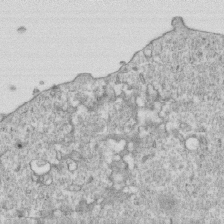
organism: Mouse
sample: Activated OT-1 CD8+ T cells